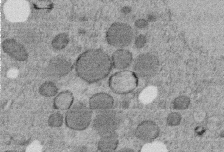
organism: C. elegans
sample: C. elegans embryo early stage